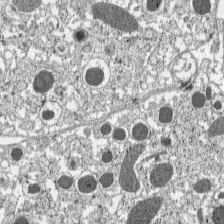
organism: C57BL Mouse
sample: Pancreatic islet